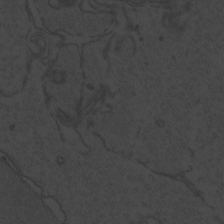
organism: Zebrafish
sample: Macrophage infected with Toxoplasma gondii